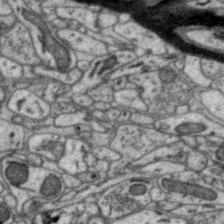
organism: Zebra finch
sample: Brain